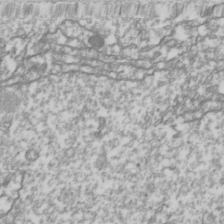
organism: Drosophila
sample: Cell division; meiosis; drosophila spermatocytes